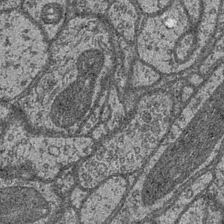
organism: Drosophila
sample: Optic medulla